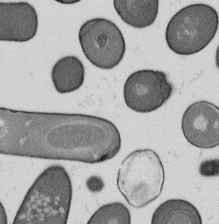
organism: B. subtilis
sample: Bacterial spore